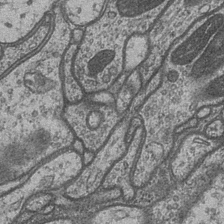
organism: Drosophila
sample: Optic medulla